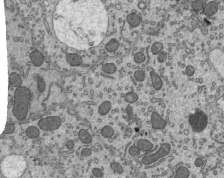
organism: Mouse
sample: Mouse epididymis efferent ductule cilia